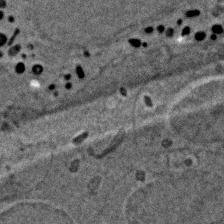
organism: Zebrafish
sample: Zebrafish embryo